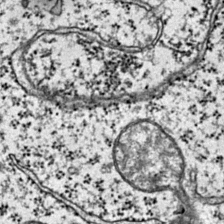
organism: Mouse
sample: Primary visual cortex